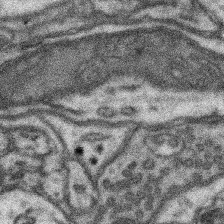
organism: Mouse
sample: Somatosensory cortex neuropil